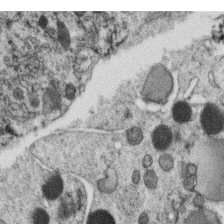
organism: C. elegans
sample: C. elegans oocyte; sperm cells